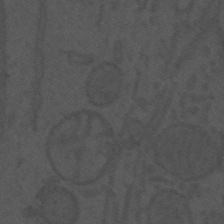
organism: Mouse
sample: Suprachiasmatic nucleus